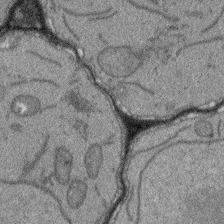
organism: Arabidopsis thaliana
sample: Root tip